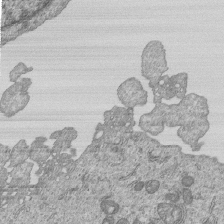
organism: Human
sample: MDA-MB-231 cells